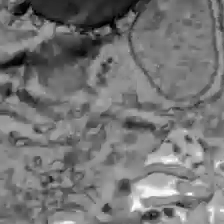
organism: C57BL Mouse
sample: Liver